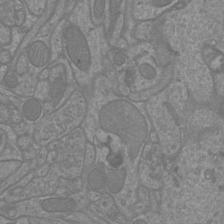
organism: Mouse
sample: Cortical neurons